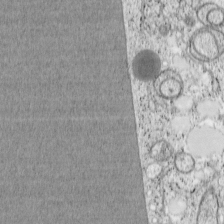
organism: African green monkey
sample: COS-7 cells